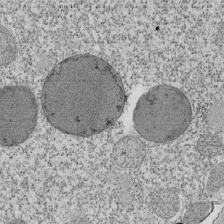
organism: Tetrahymena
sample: Cilia in tetrahymena